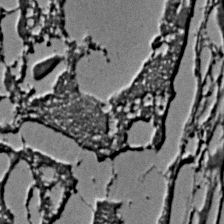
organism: C. elegans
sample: C. elegans embryo